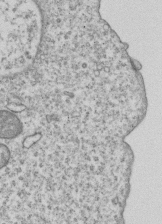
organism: Human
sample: MDA-MB-231 cells